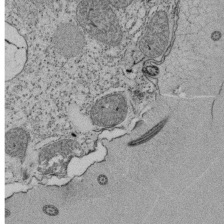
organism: Tetrahymena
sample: Cilia in tetrahymena